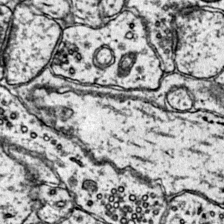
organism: Mouse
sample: Primary visual cortex